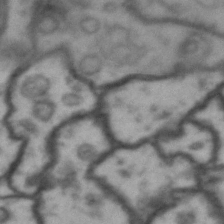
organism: Drosophila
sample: Brain